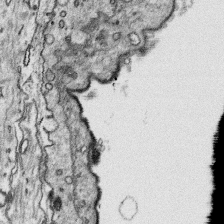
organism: Platynereis dumerilii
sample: Parapodia